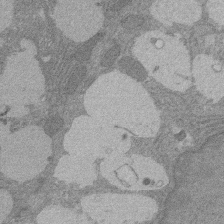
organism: Rat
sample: Salivary granule